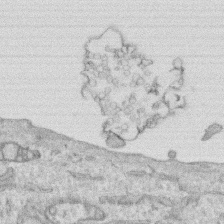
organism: Human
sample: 1205lu cells